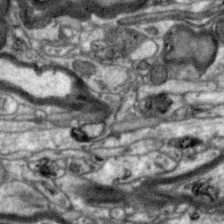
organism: Zebra finch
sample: Brain